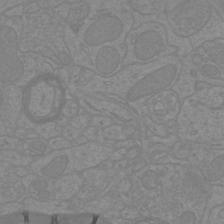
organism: Mouse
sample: Cortical neurons